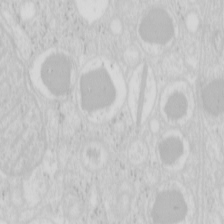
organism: Mouse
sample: Pancreas